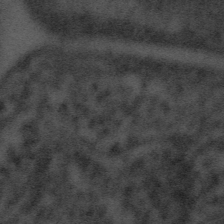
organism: Tuwongella immobilis